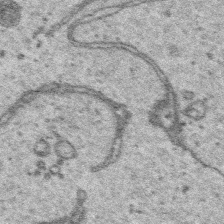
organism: Platynereis dumerilii